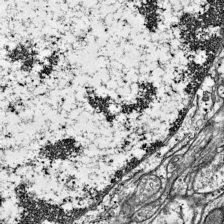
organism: Mouse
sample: Visual Cortex